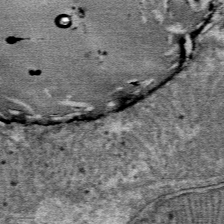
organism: Mouse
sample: Mouse Salivary gland